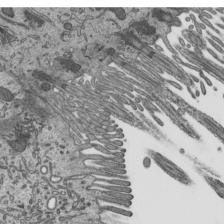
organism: Mouse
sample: Mouse epididymis efferent ductule cilia